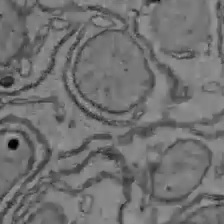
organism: C57BL Mouse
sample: Liver